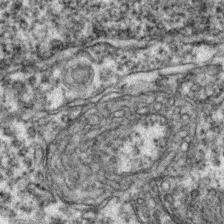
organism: Zebrafish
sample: Zebrafish embryo